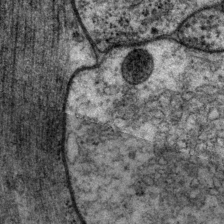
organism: P. pacificus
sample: Pharynx